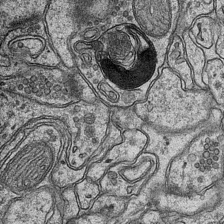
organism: Mouse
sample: CA1 Hippocampus